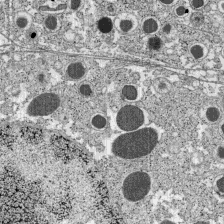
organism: C57BL Mouse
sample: Pancreatic islet